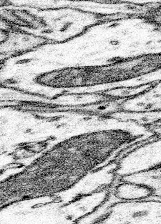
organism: Mouse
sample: Somatosensory cortex neuropil